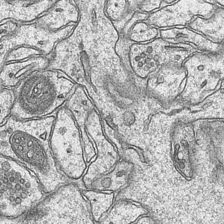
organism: Mouse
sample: CA1 Hippocampus